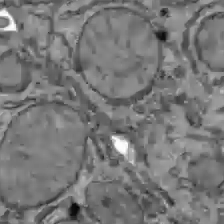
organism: C57BL Mouse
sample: Liver